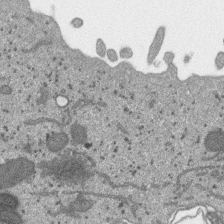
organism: Human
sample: Lung epithelial cells infected with SARS-CoV-2